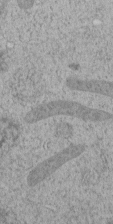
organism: C. elegans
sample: C. elegans embryo early stage